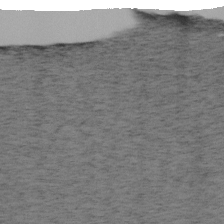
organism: Mouse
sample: OT-I killer T cells with ID8 ovarian cancer cells